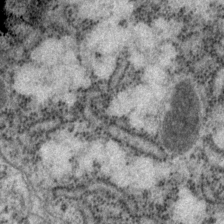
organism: P. pacificus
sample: Pharynx